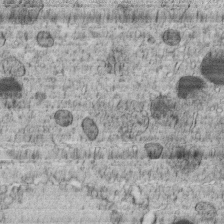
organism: C. elegans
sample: C. elegans embryo early stage